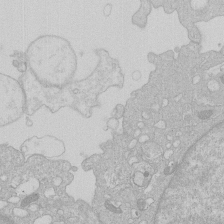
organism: Human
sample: Macrophage cells